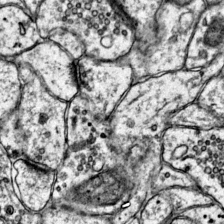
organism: Mouse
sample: Primary visual cortex